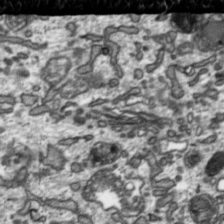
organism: Toxoplasma gondii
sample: Parasites in a vacuole inside a host cell